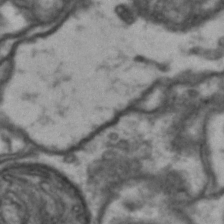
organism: Drosophila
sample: Brain